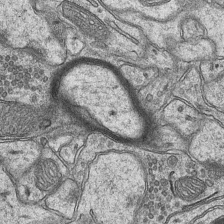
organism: Mouse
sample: CA1 Hippocampus